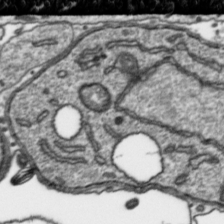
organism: Toxoplasma gondii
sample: Parasites in a vacuole inside a host cell